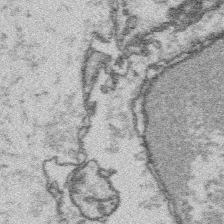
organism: Platynereis dumerilii